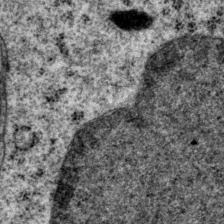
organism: P. pacificus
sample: Pharynx